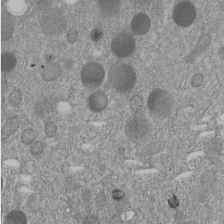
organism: C. elegans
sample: C. elegans embryo early stage